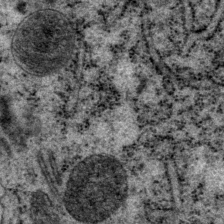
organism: P. pacificus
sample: Pharynx